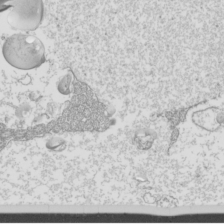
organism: Mouse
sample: Cilia; mouse epididymis